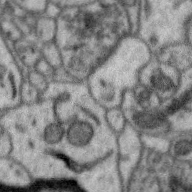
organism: Zebra finch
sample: Brain